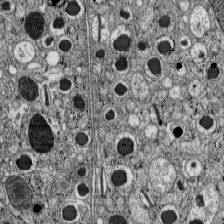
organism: C57BL Mouse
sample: Pancreatic islet